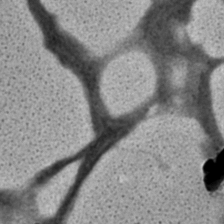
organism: C. elegans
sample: C. elegans embryo